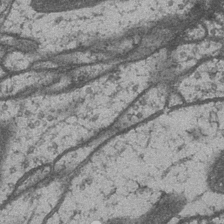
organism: Drosophila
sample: Optic medulla